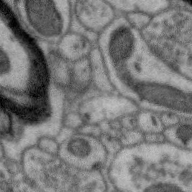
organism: Zebra finch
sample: Brain